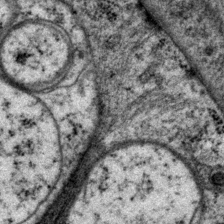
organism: P. pacificus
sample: Pharynx